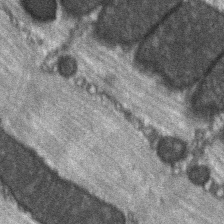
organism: C57BL Mouse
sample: Soleus